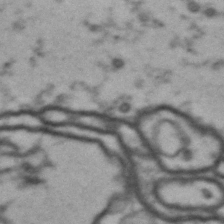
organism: Drosophila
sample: Brain